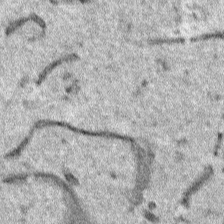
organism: Human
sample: Mitochondria in HCT116 cells